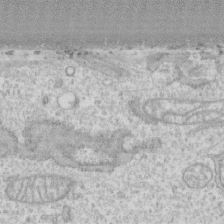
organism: Human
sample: CRL-1474